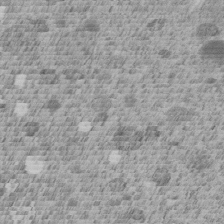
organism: C. elegans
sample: C. elegans embryo early stage